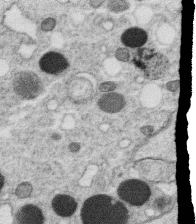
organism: C. elegans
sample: C. elegans oocyte; sperm cells